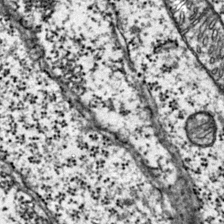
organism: Mouse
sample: Primary visual cortex